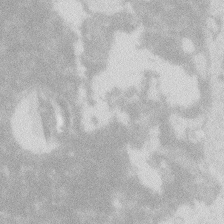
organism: Zebrafish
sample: Macrophage